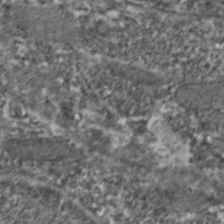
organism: Zebrafish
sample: Zebrafish embryo